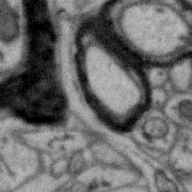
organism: Zebra finch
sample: Brain